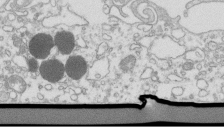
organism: Mouse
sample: Macrophages